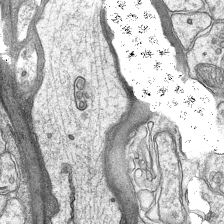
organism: Mouse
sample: CA1 Hippocampus